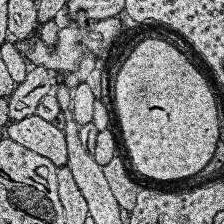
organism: Human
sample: Temporal Lobe